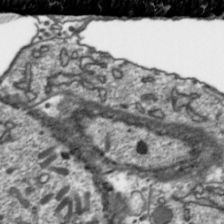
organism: Toxoplasma gondii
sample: Parasites in a vacuole inside a host cell